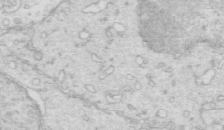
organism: Mouse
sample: Multiciliated cells